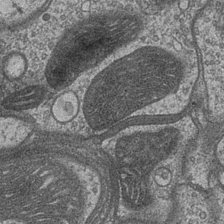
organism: Drosophila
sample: Optic medulla